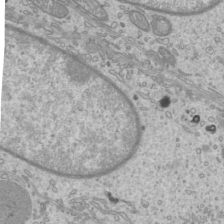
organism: Mouse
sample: Cilia; mouse epididymis